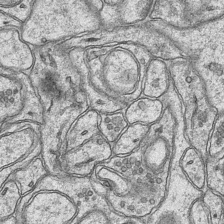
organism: Mouse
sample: CA1 Hippocampus